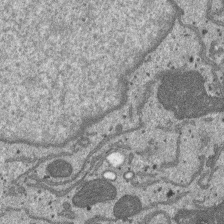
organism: Human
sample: Lung epithelial cells infected with SARS-CoV-2